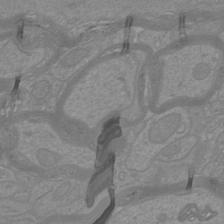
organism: Mouse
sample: Cortical neurons